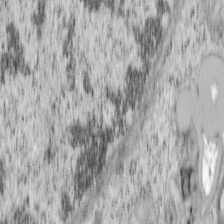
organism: Human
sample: HeLa cells